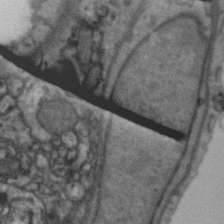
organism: Zebra finch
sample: Brain